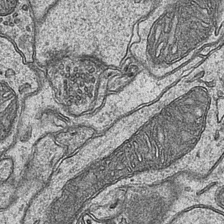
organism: Mouse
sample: CA1 Hippocampus